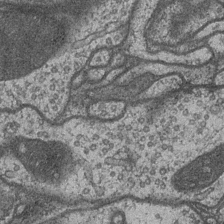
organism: Drosophila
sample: Optic medulla